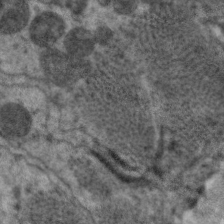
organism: C. elegans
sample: Pharynx